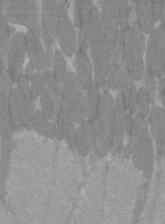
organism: C57BL Mouse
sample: Tibialis anterior muscle cell